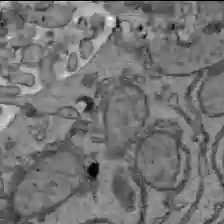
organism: C57BL Mouse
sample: Liver